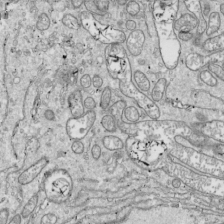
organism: Drosophila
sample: Cell division; meiosis; drosophila spermatocytes